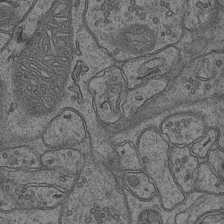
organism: Mouse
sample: CA1 Hippocampus